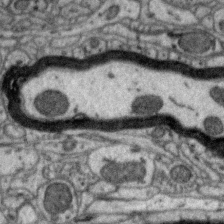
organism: Zebra finch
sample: Brain